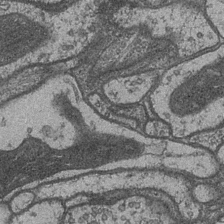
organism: Drosophila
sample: Optic medulla